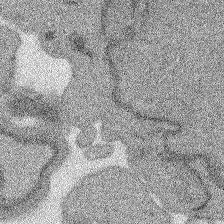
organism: Human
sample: HeLa cells